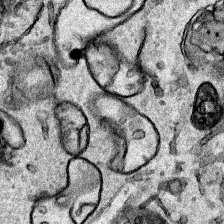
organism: Human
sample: Mitochondria in HCT116 cells